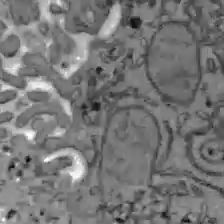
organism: C57BL Mouse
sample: Liver